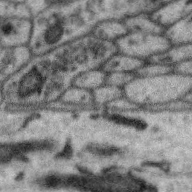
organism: Zebra finch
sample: Brain